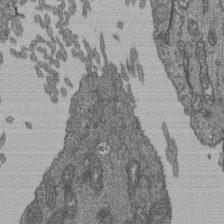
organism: Human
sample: Retinal organoid Rod and Cone cells